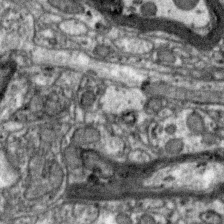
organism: Zebra finch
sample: Brain